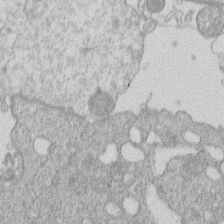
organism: Human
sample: Macrophage cells